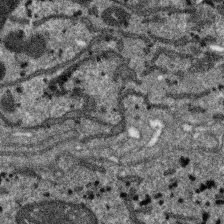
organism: Human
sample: Lung epithelial cells infected with SARS-CoV-2